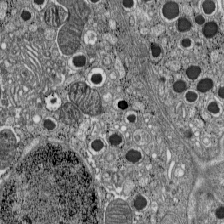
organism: C57BL Mouse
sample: Pancreatic islet